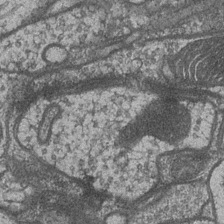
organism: Drosophila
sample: Optic medulla